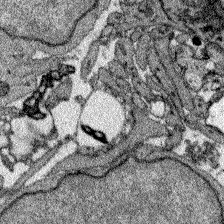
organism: Zebrafish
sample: Larval olfactory bulb